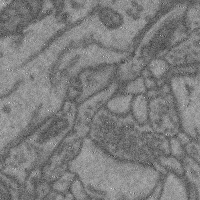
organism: Mouse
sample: Cerebral cortex